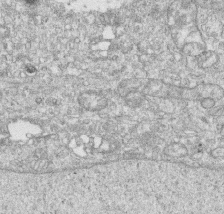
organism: Human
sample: HeLa cell HIV synapse